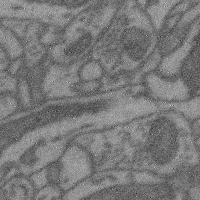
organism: Mouse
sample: Cerebral cortex